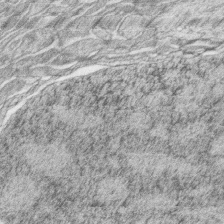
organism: Zebrafish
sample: synaptic ribbons in rod cells and cone cells